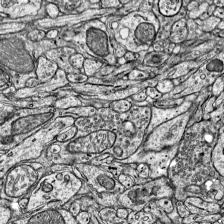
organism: Mouse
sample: Visual Cortex